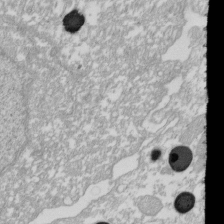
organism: Xenopus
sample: Cilia; centrioles in frog embryo cells